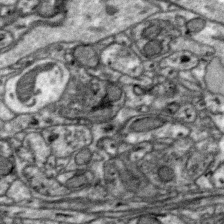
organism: Zebra finch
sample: Brain